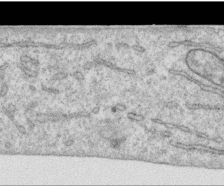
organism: Human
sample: Centriole in RPE cells